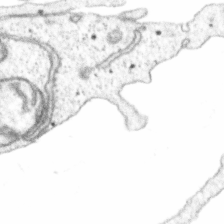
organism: Human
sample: HeLa cells